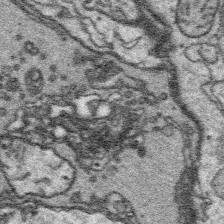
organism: Platynereis dumerilii